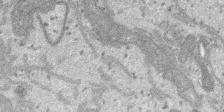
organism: Human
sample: Lung epithelial cells infected with SARS-CoV-2